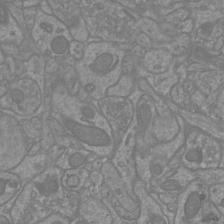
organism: Mouse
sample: Cortical neurons